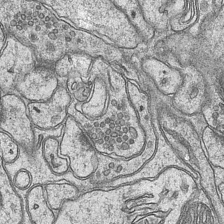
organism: Mouse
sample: CA1 Hippocampus